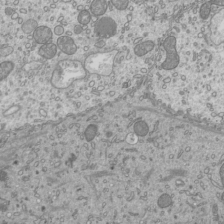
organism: Mouse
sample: Cilia; mouse epididymis